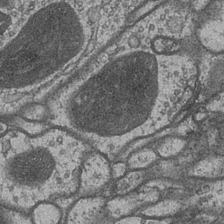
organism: Drosophila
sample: Optic medulla